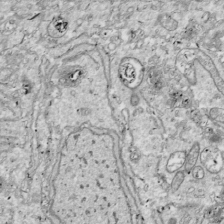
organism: Drosophila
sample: Cell division; meiosis; drosophila spermatocytes